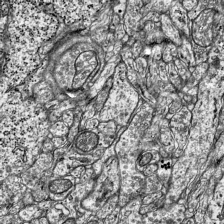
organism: Mouse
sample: Visual Cortex